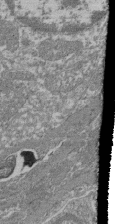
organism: Mouse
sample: Glomerulus